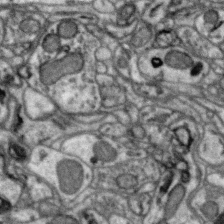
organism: Zebra finch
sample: Brain